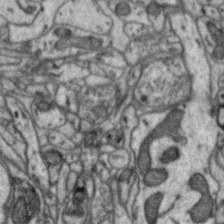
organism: Zebra finch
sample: Brain